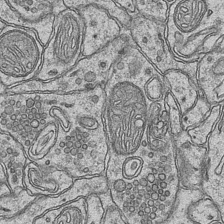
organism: Mouse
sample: CA1 Hippocampus